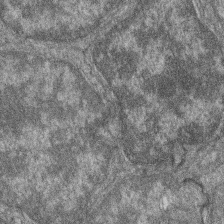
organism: Zebrafish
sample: Cilia; retinal pigment epithelium